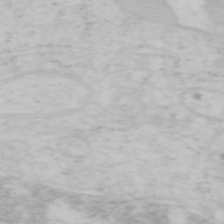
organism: Mouse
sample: OT-I killer T cells with ID8 ovarian cancer cells